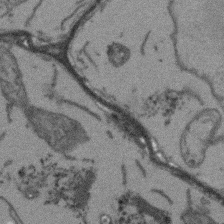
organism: Arabidopsis thaliana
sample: Root tip